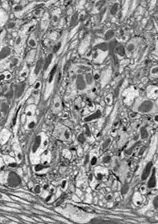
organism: Drosophila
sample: Optic lobe